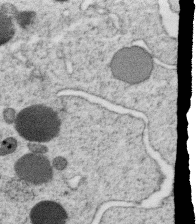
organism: C. elegans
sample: C. elegans oocyte; sperm cells